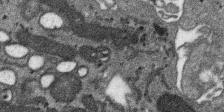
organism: Human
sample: Lung epithelial cells infected with SARS-CoV-2